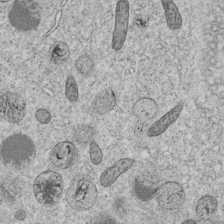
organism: C. elegans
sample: C. elegans embryo early stage